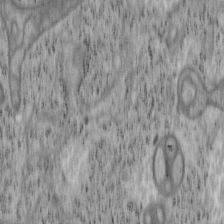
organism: Human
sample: HeLa cells